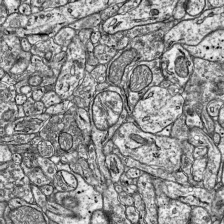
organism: Mouse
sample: Visual Cortex